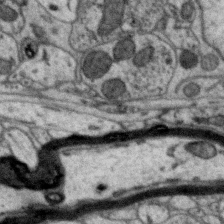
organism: Zebra finch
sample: Brain